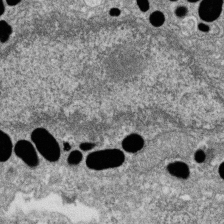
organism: Zebrafish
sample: Cilia; retinal pigment epithelium